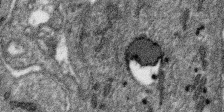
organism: Human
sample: Lung epithelial cells infected with SARS-CoV-2